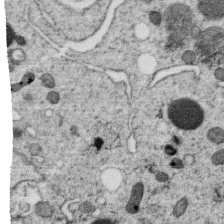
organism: C. elegans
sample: C. elegans oocyte; sperm cells